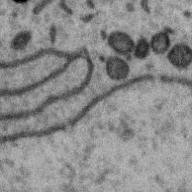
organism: Zebra finch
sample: Brain